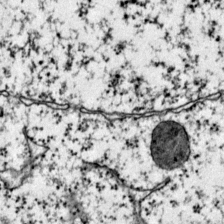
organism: Mouse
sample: Primary visual cortex